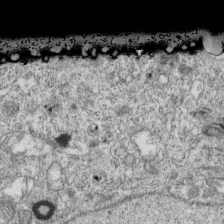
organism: Human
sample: HeLa cell HIV synapse